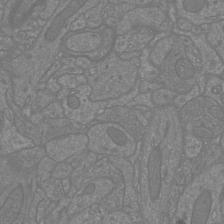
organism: Mouse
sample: Cortical neurons